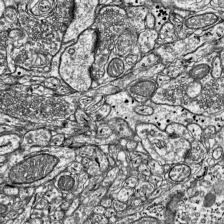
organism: Mouse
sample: Visual Cortex